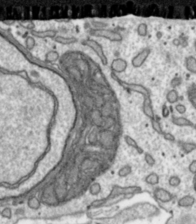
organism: Toxoplasma gondii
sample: Parasites in a vacuole inside a host cell